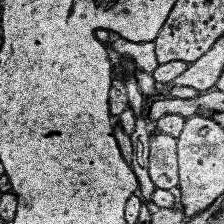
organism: Human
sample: Temporal Lobe